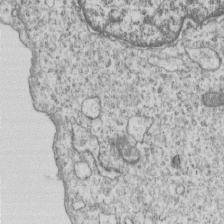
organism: Human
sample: MDA-MB-231 cells